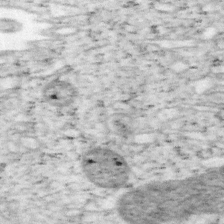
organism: Mouse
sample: OT-I killer T cells with ID8 ovarian cancer cells